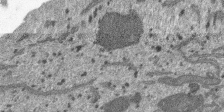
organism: Human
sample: Lung epithelial cells infected with SARS-CoV-2